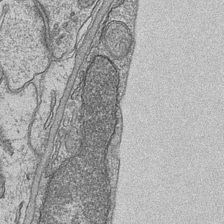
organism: Mouse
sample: CA1 Hippocampus